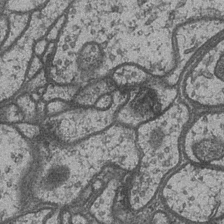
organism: Drosophila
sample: Optic medulla